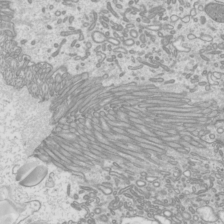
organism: Mouse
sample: Cilia; mouse epididymis